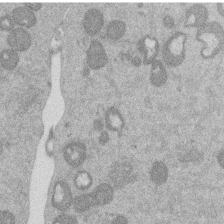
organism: Mouse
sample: Dividing mouse embryo 1 cell stage